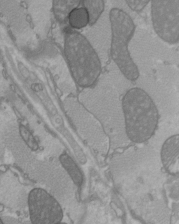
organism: C57BL Mouse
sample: Heart